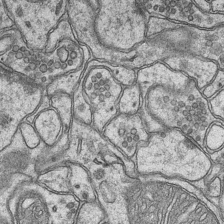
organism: Mouse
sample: CA1 Hippocampus